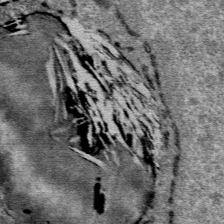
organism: Mouse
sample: Mouse Salivary gland